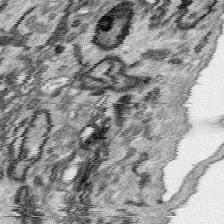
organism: Human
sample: HeLa cells